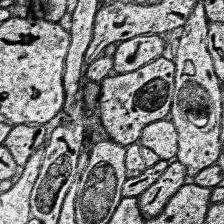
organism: Human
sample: Temporal Lobe